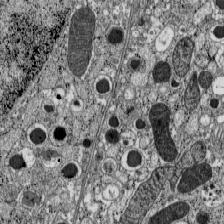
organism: C57BL Mouse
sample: Pancreatic islet